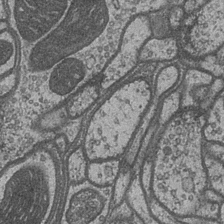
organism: Drosophila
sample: Optic medulla